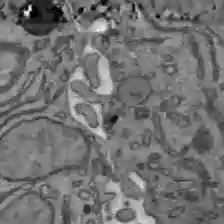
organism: C57BL Mouse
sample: Liver